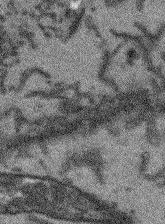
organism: Arabidopsis thaliana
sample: Root tip